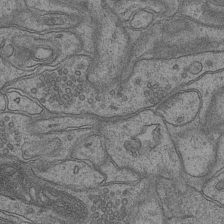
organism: Mouse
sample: CA1 Hippocampus